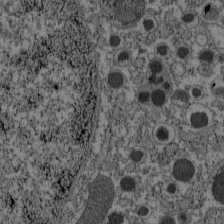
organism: C57BL Mouse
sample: Pancreatic islet